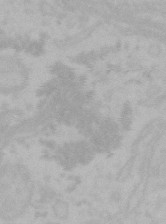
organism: Mouse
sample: Choroid plexus